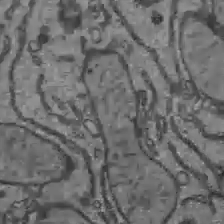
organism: C57BL Mouse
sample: Liver